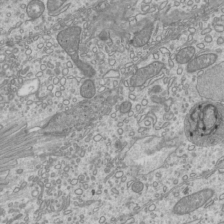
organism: Mouse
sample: Cilia; mouse epididymis